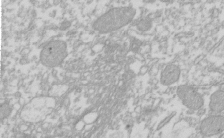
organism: Xenopus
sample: Cilia; centrioles in frog embryo cells